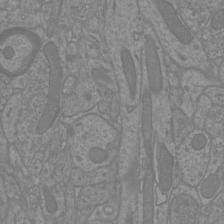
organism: Mouse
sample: Cortical neurons